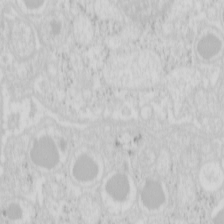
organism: Mouse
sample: Pancreas